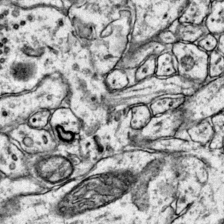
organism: Mouse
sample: Primary visual cortex